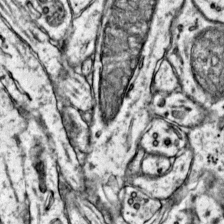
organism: Mouse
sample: Primary visual cortex